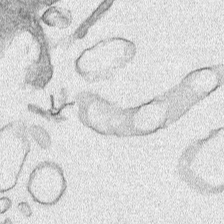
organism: Human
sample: Mitochondria in HCT116 cells